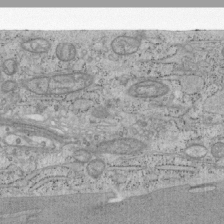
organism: Human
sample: HeLa cells